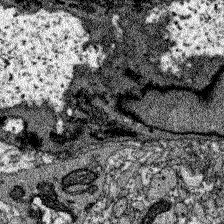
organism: Zebrafish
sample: Larval olfactory bulb